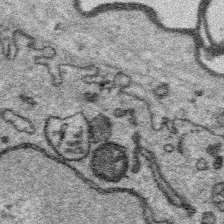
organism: Platynereis dumerilii